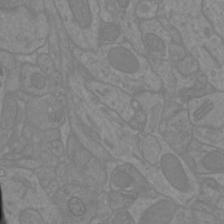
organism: Mouse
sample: Cortical neurons